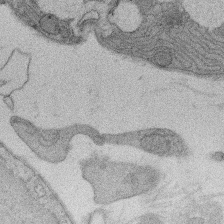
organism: Rat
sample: Salivary granule